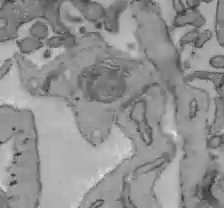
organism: C57BL Mouse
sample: Liver